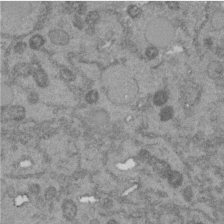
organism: C. elegans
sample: C. elegans embryo early stage